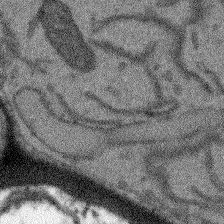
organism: Arabidopsis thaliana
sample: Root tip